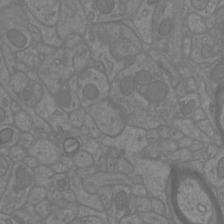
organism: Mouse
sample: Cortical neurons